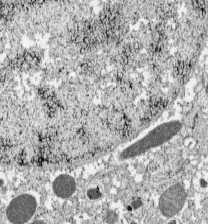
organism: C57BL Mouse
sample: Pancreatic islet